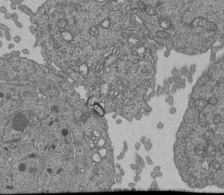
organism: Human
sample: Retinal organoid Rod and Cone cells